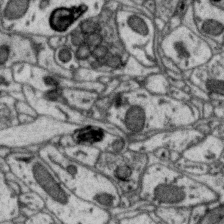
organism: Zebra finch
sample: Brain